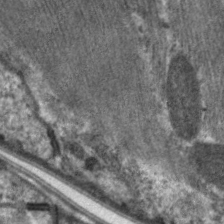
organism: C. elegans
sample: Pharynx